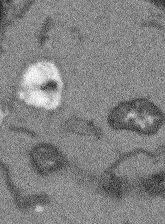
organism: Arabidopsis thaliana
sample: Root tip